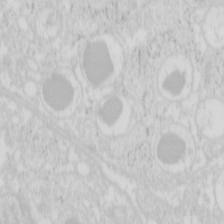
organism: Mouse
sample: Pancreas